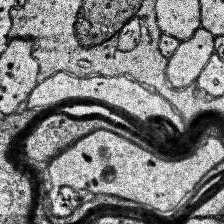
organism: Human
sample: Temporal Lobe